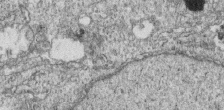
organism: Human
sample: HeLa cell HIV synapse